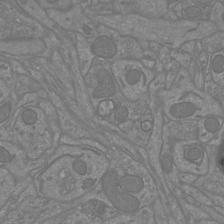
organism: Mouse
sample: Cortical neurons